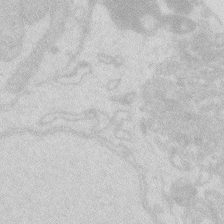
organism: Zebrafish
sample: Macrophage